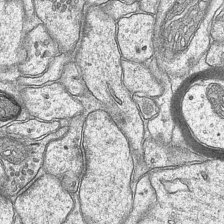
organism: Mouse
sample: CA1 Hippocampus